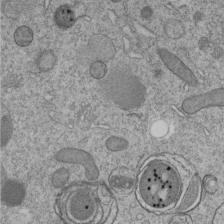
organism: C. elegans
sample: C. elegans embryo early stage